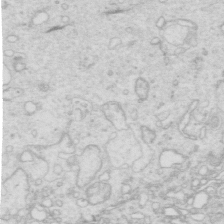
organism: Mouse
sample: Multiciliated cells